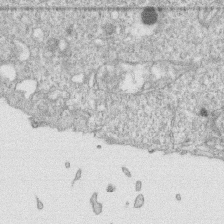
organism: Human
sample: HeLa cell HIV synapse